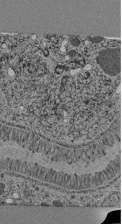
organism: C. elegans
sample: C. elegans pharynx